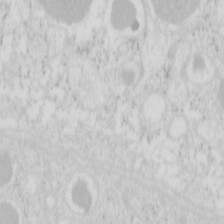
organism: Mouse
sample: Pancreas